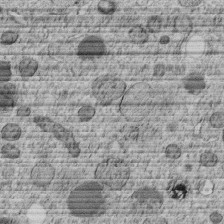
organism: C. elegans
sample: C. elegans embryo early stage